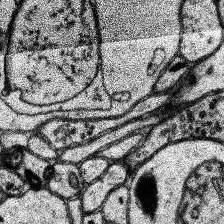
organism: Human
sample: Temporal Lobe